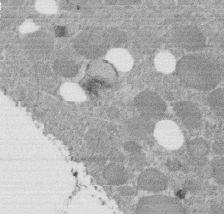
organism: C. elegans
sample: C. elegans embryo early stage